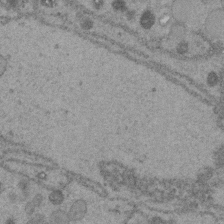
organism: C. elegans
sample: C. elegans embryo early stage